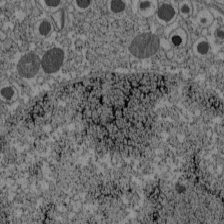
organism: C57BL Mouse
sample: Pancreatic islet